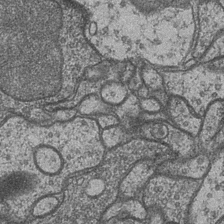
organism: Drosophila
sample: Optic medulla